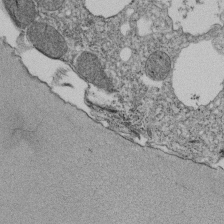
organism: Tetrahymena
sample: Cilia in tetrahymena